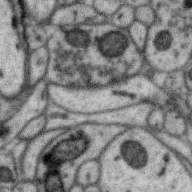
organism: Zebra finch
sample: Brain